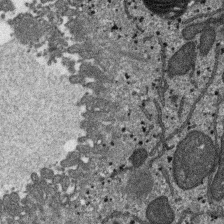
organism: Human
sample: Lung epithelial cells infected with SARS-CoV-2